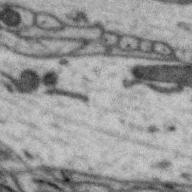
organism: Zebra finch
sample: Brain